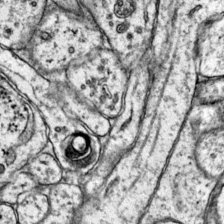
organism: Mouse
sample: Primary visual cortex